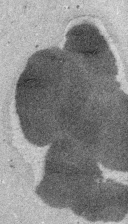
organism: Embia sp.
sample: Silk gland